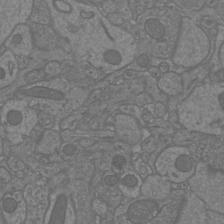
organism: Mouse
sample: Cortical neurons